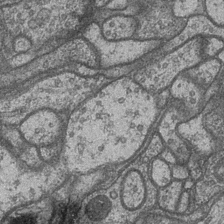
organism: Drosophila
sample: Optic medulla